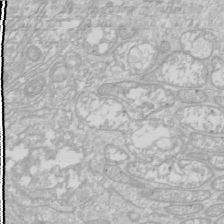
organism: Drosophila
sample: Cell division; meiosis; drosophila spermatocytes